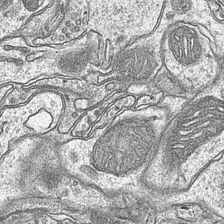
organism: Mouse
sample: CA1 Hippocampus